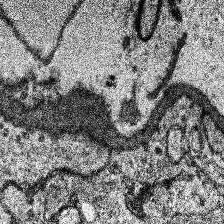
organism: Human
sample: Temporal Lobe